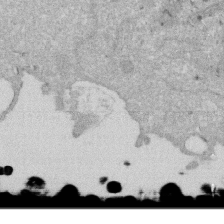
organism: Human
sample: HIV infected U937 cells